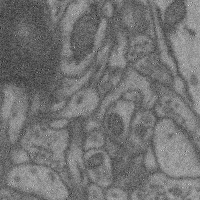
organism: Mouse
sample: Cerebral cortex